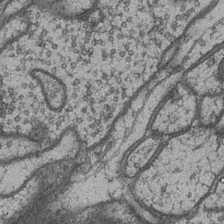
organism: Drosophila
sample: Optic medulla